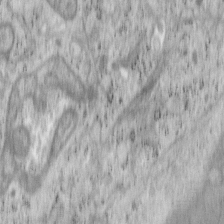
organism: Human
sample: HeLa cells